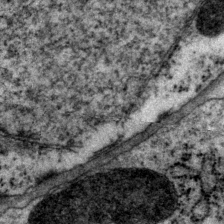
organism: P. pacificus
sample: Pharynx